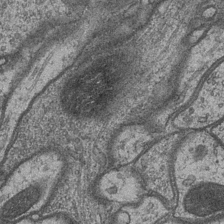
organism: Drosophila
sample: Optic medulla